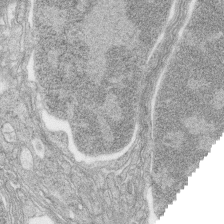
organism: Zebrafish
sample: synaptic ribbons in rod cells and cone cells